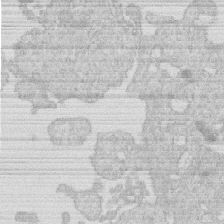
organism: Human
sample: Macrophage cells